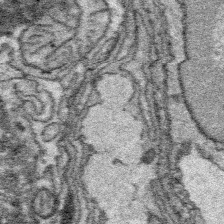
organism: Platynereis dumerilii